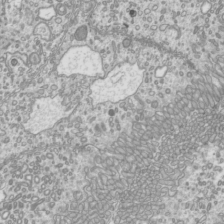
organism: Mouse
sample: Cilia; mouse epididymis